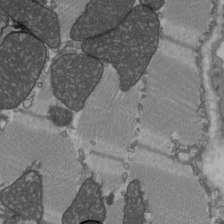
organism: C57BL Mouse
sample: Heart